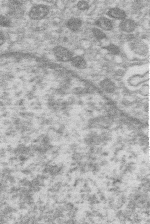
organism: Human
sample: Macrophage cells